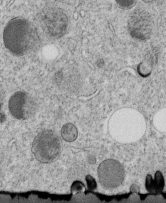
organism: C. elegans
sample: C. elegans embryo early stage